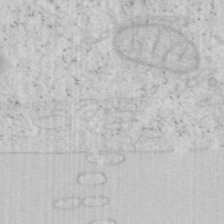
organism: Human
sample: HeLa cells